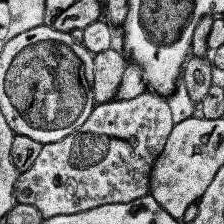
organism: Human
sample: Temporal Lobe